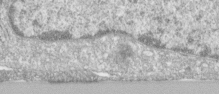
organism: Human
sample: Centriole in RPE cells